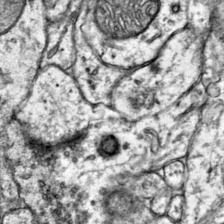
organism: Mouse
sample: Primary visual cortex